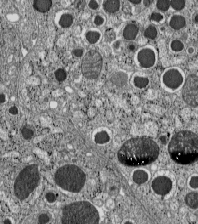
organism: C57BL Mouse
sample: Pancreatic islet